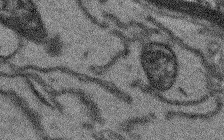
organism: Arabidopsis thaliana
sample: Root tip